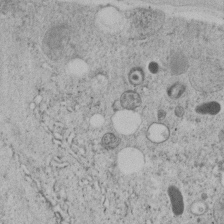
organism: C. elegans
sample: C. elegans embryo early stage